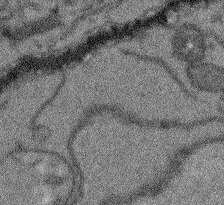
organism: Arabidopsis thaliana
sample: Root tip